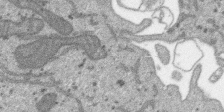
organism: Human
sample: Lung epithelial cells infected with SARS-CoV-2